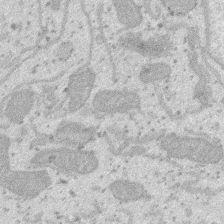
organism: Human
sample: Lung epithelial cells infected with SARS-CoV-2